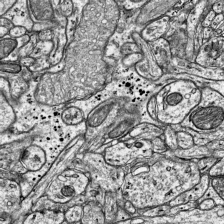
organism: Mouse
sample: Visual Cortex